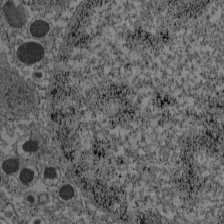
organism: C57BL Mouse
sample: Pancreatic islet